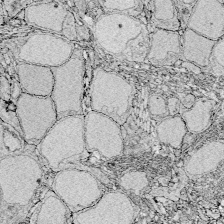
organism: Zebrafish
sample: Whole-Brain